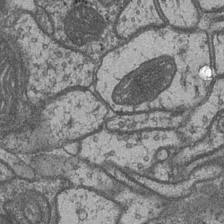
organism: Drosophila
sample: Optic medulla